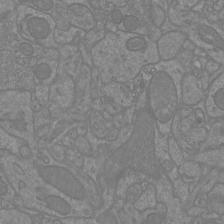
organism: Mouse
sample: Cortical neurons